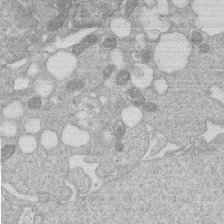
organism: Human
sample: Macrophage cells